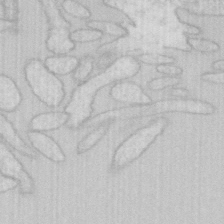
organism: Human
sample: HeLa cells